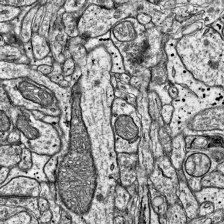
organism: Mouse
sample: Visual Cortex